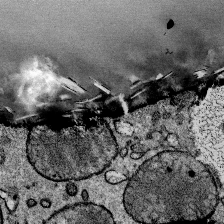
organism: Mouse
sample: Mouse Salivary gland